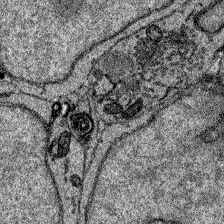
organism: Zebrafish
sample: Larval olfactory bulb